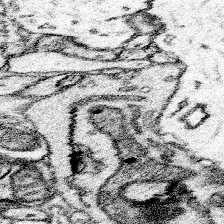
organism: Mouse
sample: Somatosensory cortex neuropil